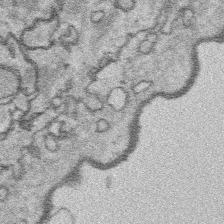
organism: Platynereis dumerilii